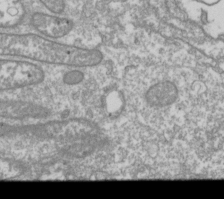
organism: Drosophila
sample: Cell division; meiosis; drosophila spermatocytes